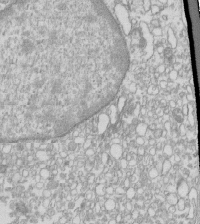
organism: Mouse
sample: Macrophages